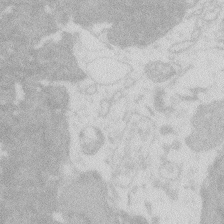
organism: Zebrafish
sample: Macrophage